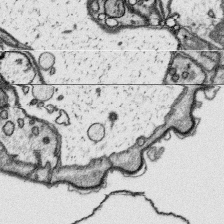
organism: Platynereis dumerilii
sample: Parapodia